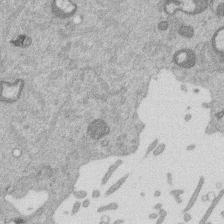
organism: Mouse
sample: Dividing mouse embryo 1 cell stage